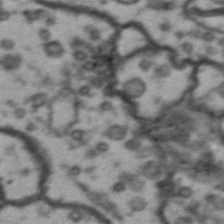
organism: Drosophila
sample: Brain